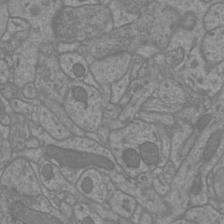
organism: Mouse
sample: Cortical neurons